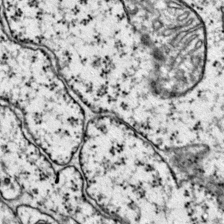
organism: Mouse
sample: Primary visual cortex